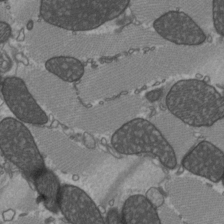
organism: C57BL Mouse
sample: Heart